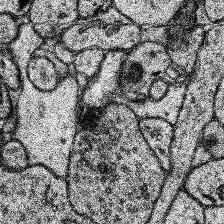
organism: Human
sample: Temporal Lobe